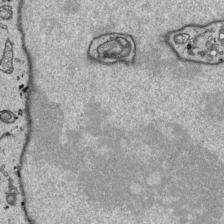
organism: Human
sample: Mitochondria in HCT116 cells